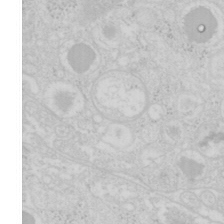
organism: Mouse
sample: Pancreas